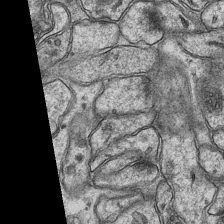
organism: Mouse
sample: CA1 Hippocampus